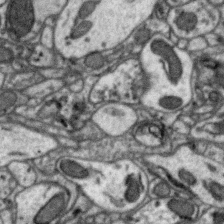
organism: Zebra finch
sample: Brain